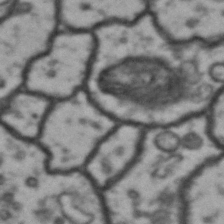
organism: Drosophila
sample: Brain